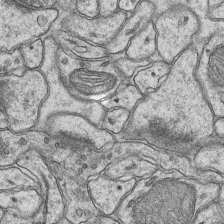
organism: Mouse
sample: CA1 Hippocampus